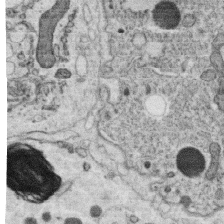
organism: C. elegans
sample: C. elegans oocyte; sperm cells